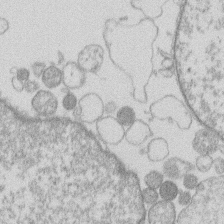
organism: Human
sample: Macrophage cells